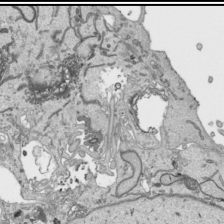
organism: Human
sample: Mitochondria in HCT116 cells